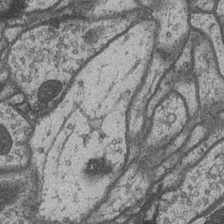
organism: Drosophila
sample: Optic medulla